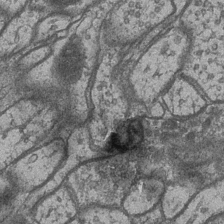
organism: Drosophila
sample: Optic medulla